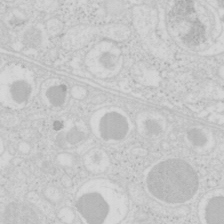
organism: Mouse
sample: Pancreas